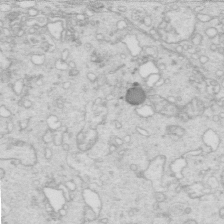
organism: Mouse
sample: Multiciliated cells